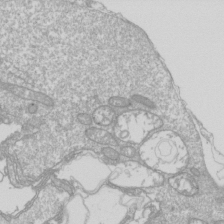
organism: Drosophila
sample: Cell division; meiosis; drosophila spermatocytes